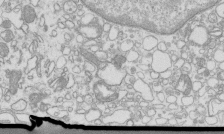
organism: Mouse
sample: Macrophages